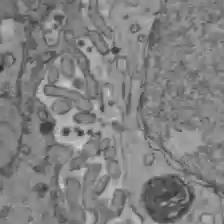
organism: C57BL Mouse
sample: Liver